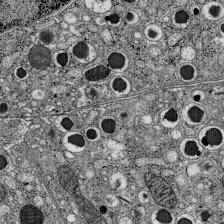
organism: C57BL Mouse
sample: Pancreatic islet